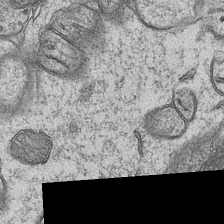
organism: Mouse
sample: CA1 Hippocampus